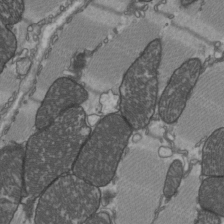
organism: C57BL Mouse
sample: Heart